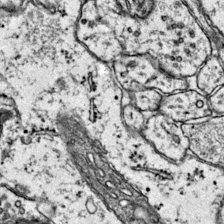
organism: Mouse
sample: Primary visual cortex